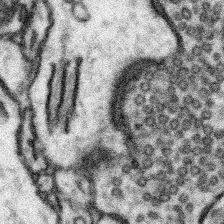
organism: Mouse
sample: Somatosensory cortex neuropil